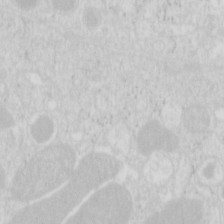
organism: Mouse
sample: Pancreas